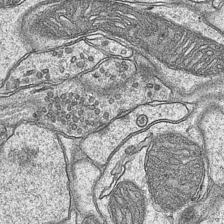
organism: Mouse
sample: CA1 Hippocampus